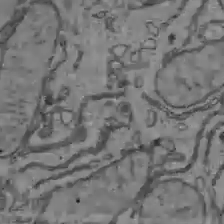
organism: C57BL Mouse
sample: Liver